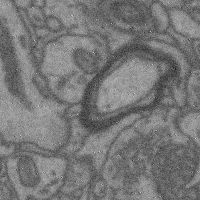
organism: Mouse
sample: Cerebral cortex